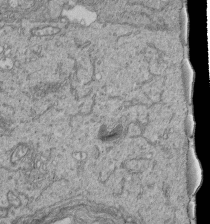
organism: Human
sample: Retinal organoid Rod and Cone cells